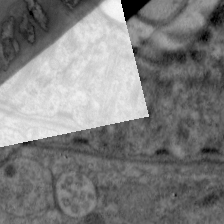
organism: C. elegans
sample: Pharynx